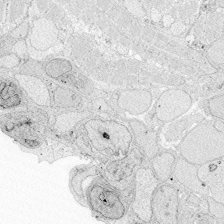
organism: Zebrafish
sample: Whole-Brain